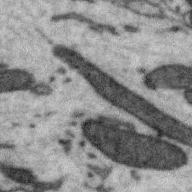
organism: Zebra finch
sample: Brain